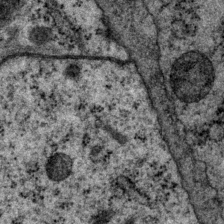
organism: P. pacificus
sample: Pharynx